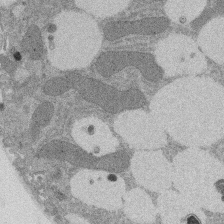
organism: Rat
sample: Salivary granule